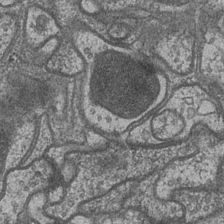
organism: Drosophila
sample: Optic medulla